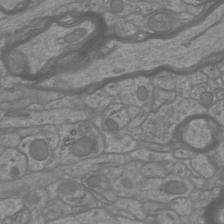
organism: Mouse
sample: Cortical neurons